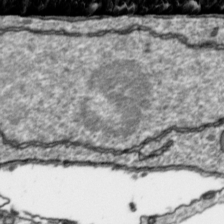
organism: Toxoplasma gondii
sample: Parasites in a vacuole inside a host cell